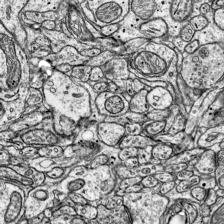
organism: Mouse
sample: Visual Cortex